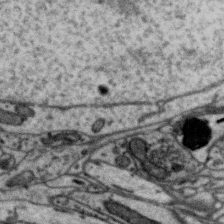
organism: Zebra finch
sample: Brain